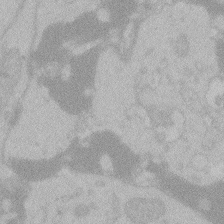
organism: Zebrafish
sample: Macrophage infected with Toxoplasma gondii